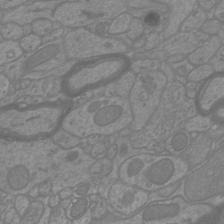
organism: Mouse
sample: Cortical neurons